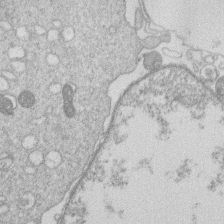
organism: Human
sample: Macrophage cells